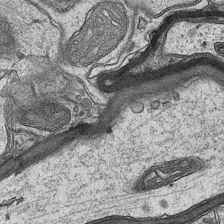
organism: Mouse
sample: CA1 Hippocampus